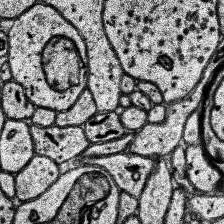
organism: Human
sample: Temporal Lobe